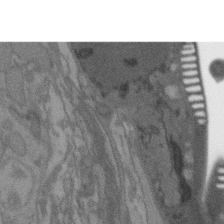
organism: C. elegans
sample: AFD neurons C. elegans